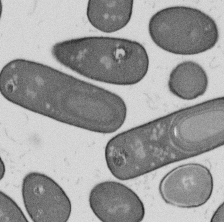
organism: B. subtilis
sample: Bacterial spore